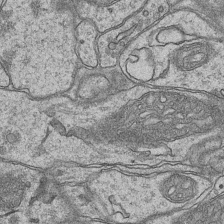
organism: Mouse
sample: CA1 Hippocampus